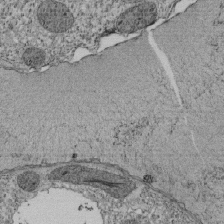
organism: Tetrahymena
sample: Cilia in tetrahymena